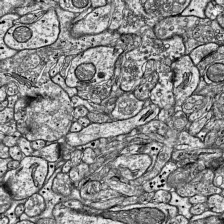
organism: Mouse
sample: Visual Cortex